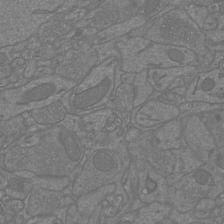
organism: Mouse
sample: Cortical neurons